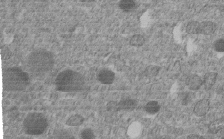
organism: C. elegans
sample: C. elegans embryo early stage